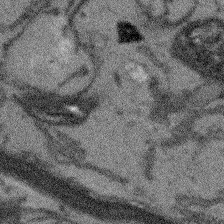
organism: Arabidopsis thaliana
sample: Root tip